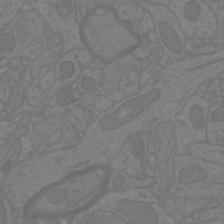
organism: Mouse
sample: Cortical neurons